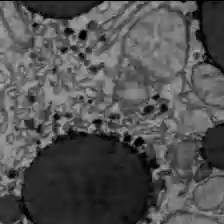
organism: C57BL Mouse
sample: Liver